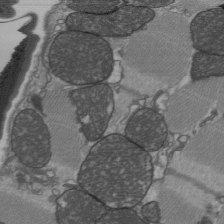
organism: C57BL Mouse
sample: Heart